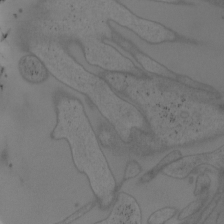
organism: Mouse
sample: OT-I killer T cells with ID8 ovarian cancer cells